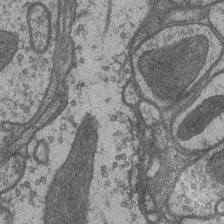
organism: Drosophila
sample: Optic medulla